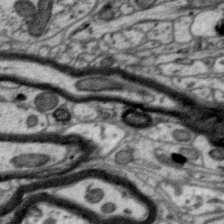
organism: Zebra finch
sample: Brain